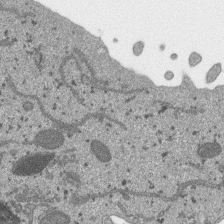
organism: Human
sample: Lung epithelial cells infected with SARS-CoV-2